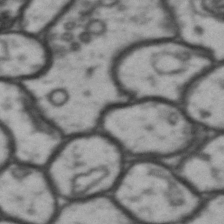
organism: Drosophila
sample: Brain